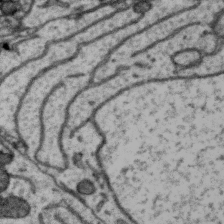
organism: Zebra finch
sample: Brain